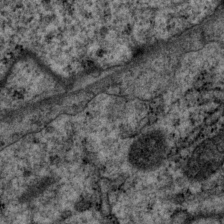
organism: P. pacificus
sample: Pharynx